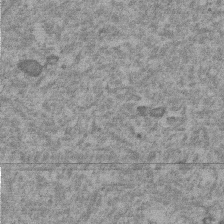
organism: Mouse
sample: Dividing mouse embryo 1 cell stage